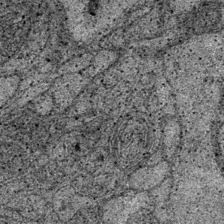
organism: Drosophila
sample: Optic medulla